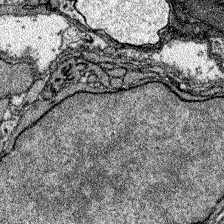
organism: Zebrafish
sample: Larval olfactory bulb